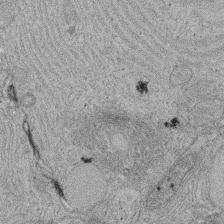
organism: Rat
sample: Salivary granule